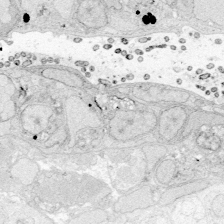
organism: Zebrafish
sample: Whole-Brain